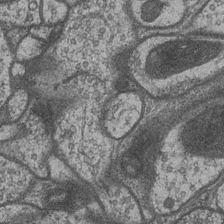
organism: Drosophila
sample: Optic medulla